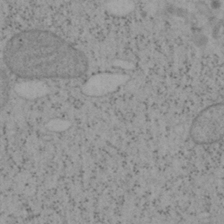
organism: Mouse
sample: OT-I killer T cells with ID8 ovarian cancer cells